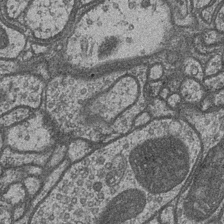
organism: Drosophila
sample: Optic medulla